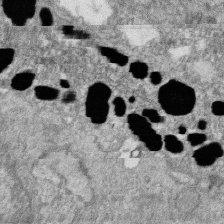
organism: Zebrafish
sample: Cilia; retinal pigment epithelium